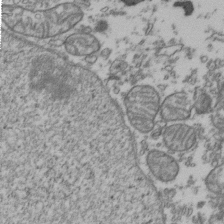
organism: Human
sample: Activated Jurkat CD4+ T cells